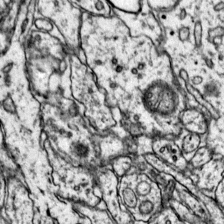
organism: Mouse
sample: Primary visual cortex